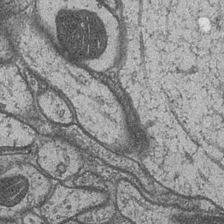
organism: Drosophila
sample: Optic medulla